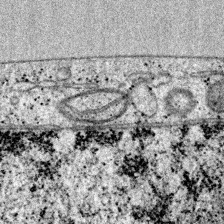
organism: Human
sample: HeLa cells